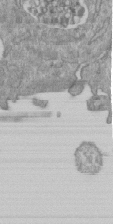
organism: Mouse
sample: ED-1 cell nuclei; centrioles